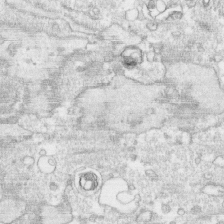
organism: Human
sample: CRL-1474